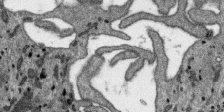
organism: Human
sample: Lung epithelial cells, uninfected (mock) control